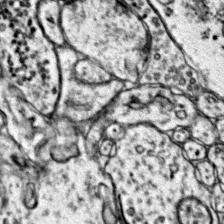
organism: Mouse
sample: Primary visual cortex